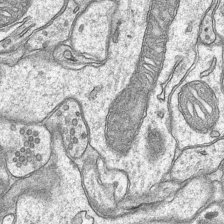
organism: Mouse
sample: CA1 Hippocampus